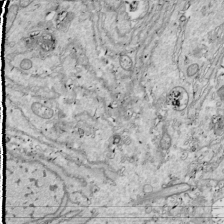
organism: Drosophila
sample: Cell division; meiosis; drosophila spermatocytes